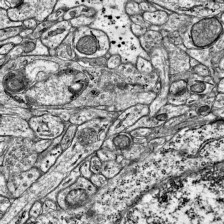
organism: Mouse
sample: Visual Cortex